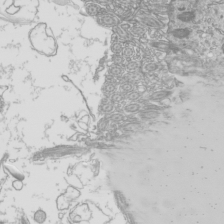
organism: Mouse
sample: Cilia; mouse epididymis